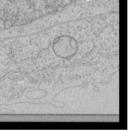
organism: Human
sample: Mitochondria in HCT116 cells